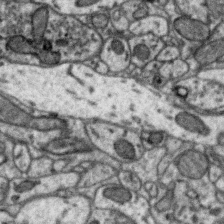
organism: Zebra finch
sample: Brain